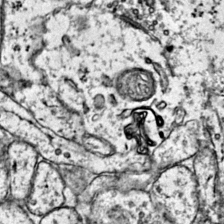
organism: Mouse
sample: Primary visual cortex